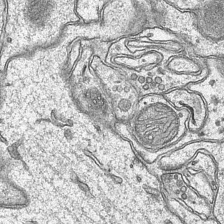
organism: Mouse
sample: CA1 Hippocampus